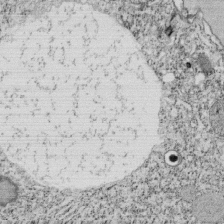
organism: Tetrahymena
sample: Cilia in tetrahymena